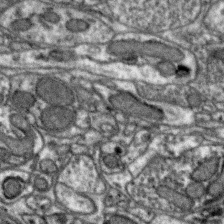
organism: Zebra finch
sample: Brain